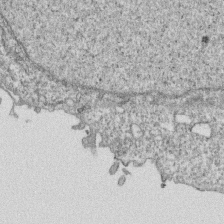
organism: Human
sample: HeLa cell HIV synapse